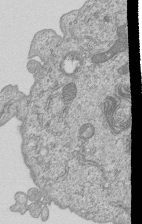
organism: Human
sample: MDA-MB-231 cells